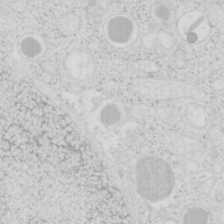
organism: Mouse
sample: Pancreas